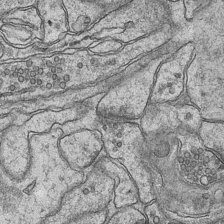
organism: Mouse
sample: CA1 Hippocampus